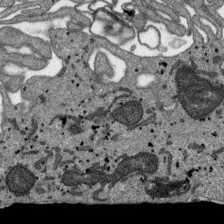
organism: Human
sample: Lung epithelial cells, uninfected (mock) control